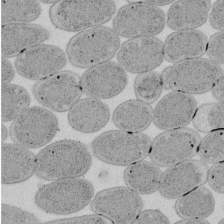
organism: E. coli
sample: Bacterial nucleoid